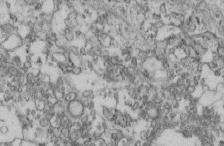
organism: Mouse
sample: Cilia; retinal pigment epithelium